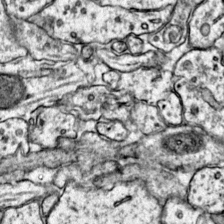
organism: Mouse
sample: Primary visual cortex